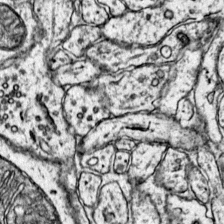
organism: Mouse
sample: Primary visual cortex